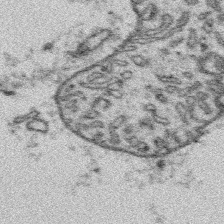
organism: Platynereis dumerilii